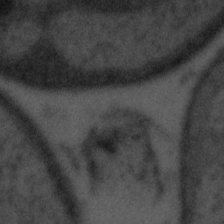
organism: Tuwongella immobilis